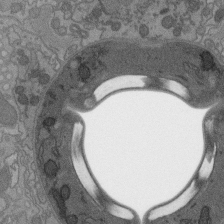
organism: C. elegans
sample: AFD neurons C. elegans